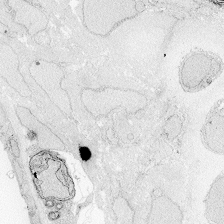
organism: Zebrafish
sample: Whole-Brain